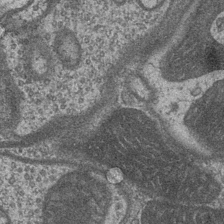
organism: Drosophila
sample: Optic medulla